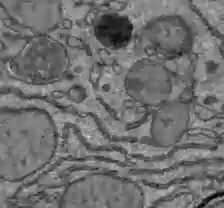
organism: C57BL Mouse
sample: Liver